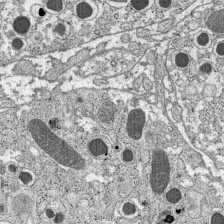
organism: C57BL Mouse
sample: Pancreatic islet